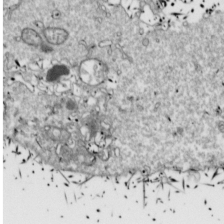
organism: Drosophila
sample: Cell division; meiosis; drosophila spermatocytes